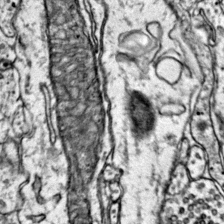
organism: Mouse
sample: Primary visual cortex